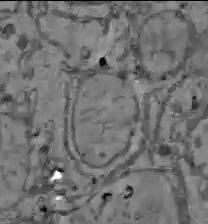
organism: C57BL Mouse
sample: Liver